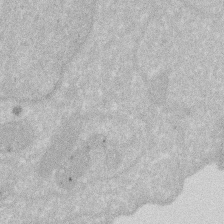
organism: Human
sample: HIV infected U937 cells